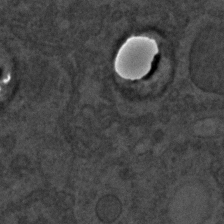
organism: C. elegans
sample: C. elegans embryo